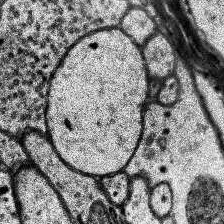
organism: Human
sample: Temporal Lobe